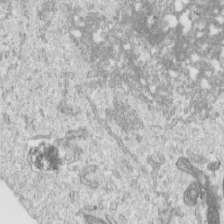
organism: Human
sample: Centriole in RPE cells